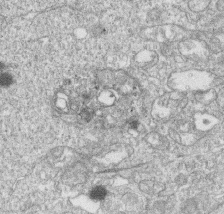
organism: Human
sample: HeLa cell HIV synapse